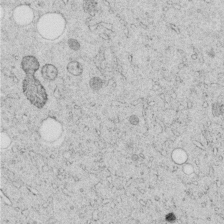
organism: C. elegans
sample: C. elegans embryo early stage